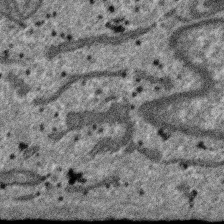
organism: Human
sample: Lung epithelial cells infected with SARS-CoV-2